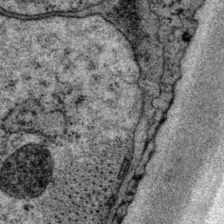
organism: P. pacificus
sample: Pharynx